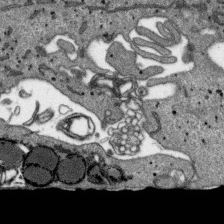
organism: Human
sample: Lung epithelial cells, uninfected (mock) control